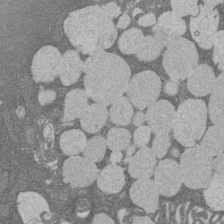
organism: Rat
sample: Salivary granule